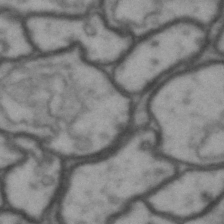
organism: Drosophila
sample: Brain